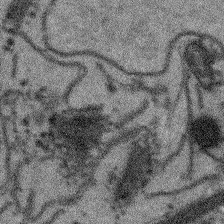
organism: Arabidopsis thaliana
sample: Root tip